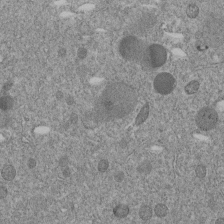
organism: C. elegans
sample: C. elegans embryo early stage